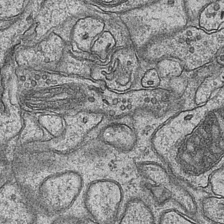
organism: Mouse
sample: CA1 Hippocampus